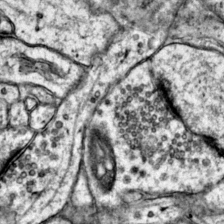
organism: Mouse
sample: Primary visual cortex